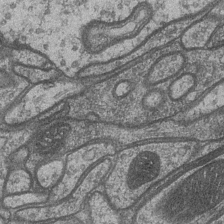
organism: Drosophila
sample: Optic medulla